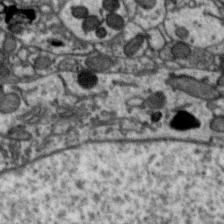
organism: Zebra finch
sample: Brain